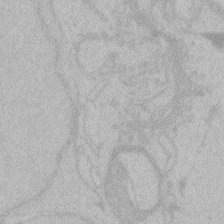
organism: Zebrafish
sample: Macrophage infected with Toxoplasma gondii